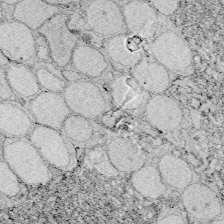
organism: Zebrafish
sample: Whole-Brain